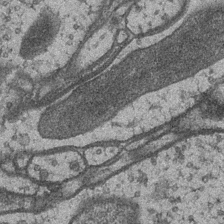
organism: Drosophila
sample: Optic medulla